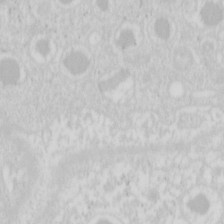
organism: Mouse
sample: Pancreas